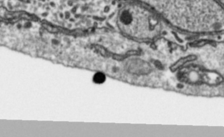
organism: Toxoplasma gondii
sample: Parasites in a vacuole inside a host cell